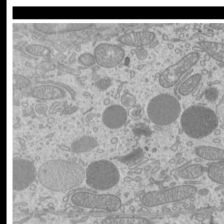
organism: Mouse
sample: Cilia; mouse epididymis